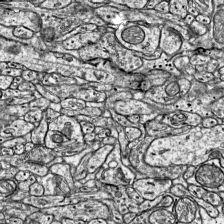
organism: Mouse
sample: Visual Cortex